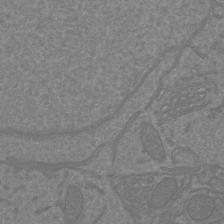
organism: Mouse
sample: Cortical neurons